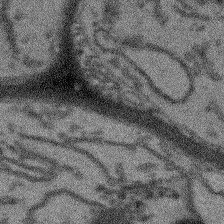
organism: Arabidopsis thaliana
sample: Root tip